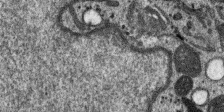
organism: Human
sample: Lung epithelial cells infected with SARS-CoV-2